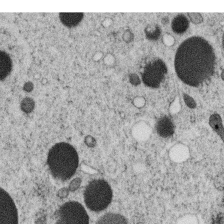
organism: C. elegans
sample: C. elegans oocyte; sperm cells